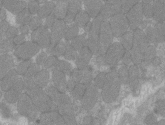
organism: C57BL Mouse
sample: Tibialis anterior muscle cell